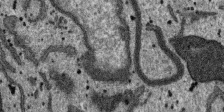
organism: Human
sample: Lung epithelial cells, uninfected (mock) control